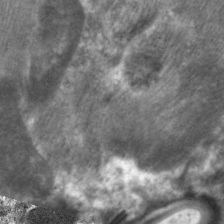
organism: C. elegans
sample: Pharynx